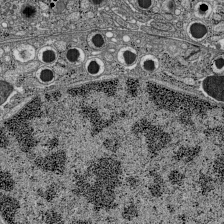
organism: C57BL Mouse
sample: Pancreatic islet